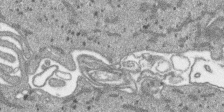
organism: Human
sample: Lung epithelial cells infected with SARS-CoV-2